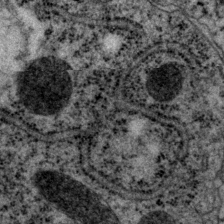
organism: P. pacificus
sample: Pharynx